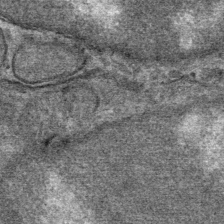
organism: Mouse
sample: Mouse Salivary gland